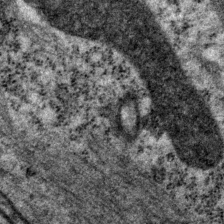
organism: P. pacificus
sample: Pharynx